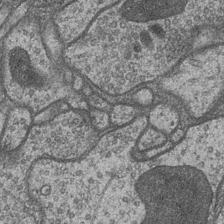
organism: Drosophila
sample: Optic medulla